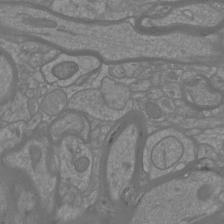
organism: Mouse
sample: Cortical neurons